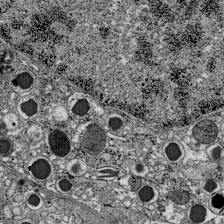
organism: C57BL Mouse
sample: Pancreatic islet